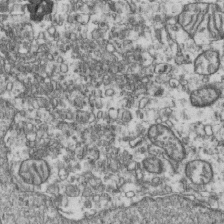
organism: Human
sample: Activated Jurkat CD4+ T cells